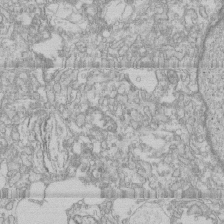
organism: Human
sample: CRL-1474